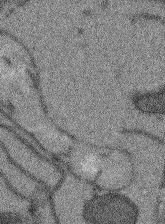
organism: Arabidopsis thaliana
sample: Root tip